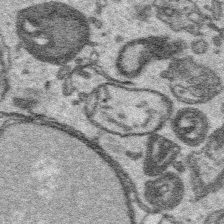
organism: Platynereis dumerilii